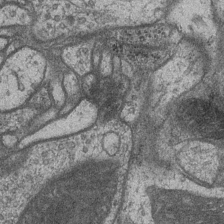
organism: Drosophila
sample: Optic medulla